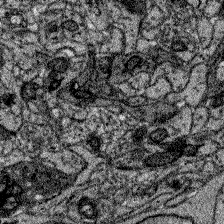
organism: Zebrafish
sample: Larval olfactory bulb